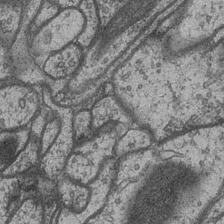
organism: Drosophila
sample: Optic medulla